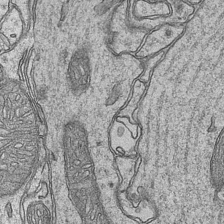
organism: Mouse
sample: CA1 Hippocampus